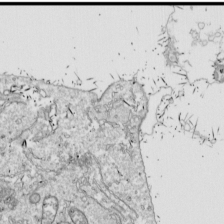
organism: Drosophila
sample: Cell division; meiosis; drosophila spermatocytes